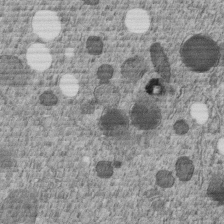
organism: C. elegans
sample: C. elegans embryo early stage